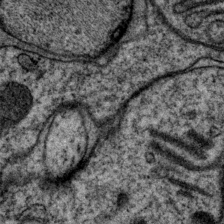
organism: P. pacificus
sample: Pharynx